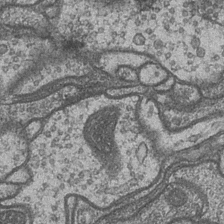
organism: Drosophila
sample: Optic medulla